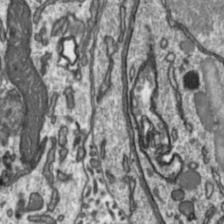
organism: Toxoplasma gondii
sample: Parasites in a vacuole inside a host cell